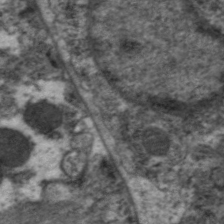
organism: C. elegans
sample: Pharynx